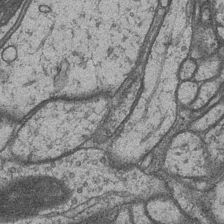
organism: Drosophila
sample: Optic medulla